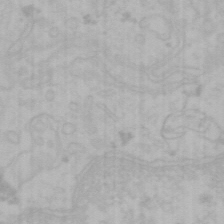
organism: Mouse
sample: Choroid plexus